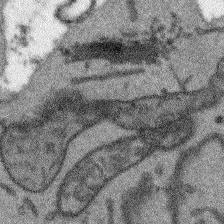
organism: Arabidopsis thaliana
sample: Root tip